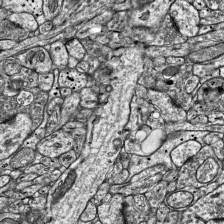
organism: Mouse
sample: Visual Cortex